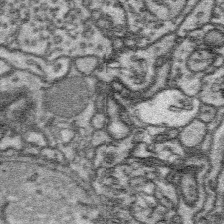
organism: Platynereis dumerilii